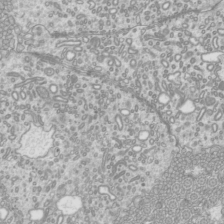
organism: Mouse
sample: Cilia; mouse epididymis